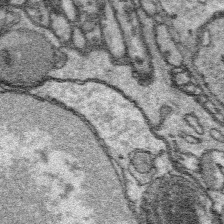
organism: Platynereis dumerilii